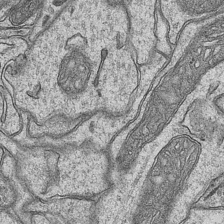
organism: Mouse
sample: CA1 Hippocampus